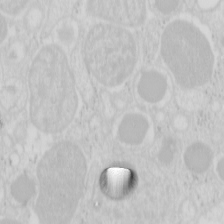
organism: Mouse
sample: Pancreas